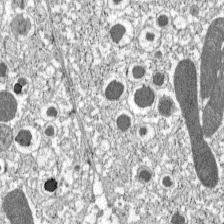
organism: C57BL Mouse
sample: Pancreatic islet